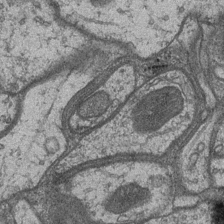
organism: Drosophila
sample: Optic medulla